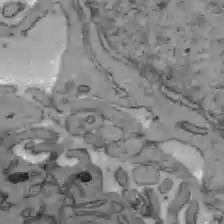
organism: C57BL Mouse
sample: Liver